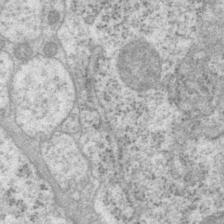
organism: P. pacificus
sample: Pharynx